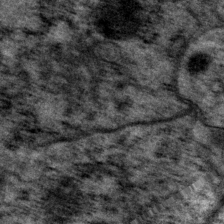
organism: P. pacificus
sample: Pharynx